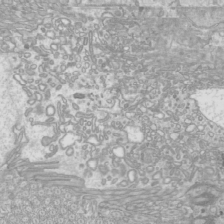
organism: Mouse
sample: Cilia; mouse epididymis